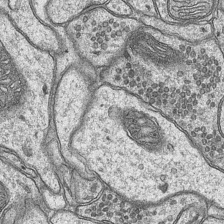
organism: Mouse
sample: CA1 Hippocampus